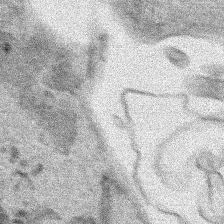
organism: Human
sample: Mitochondria in HCT116 cells